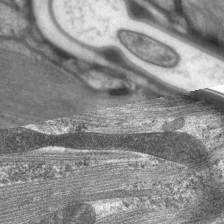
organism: C. elegans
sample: Pharynx